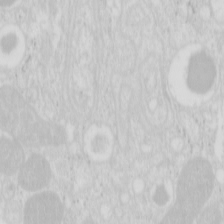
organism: Mouse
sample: Pancreas